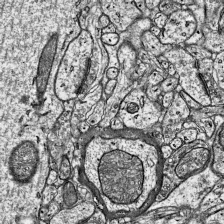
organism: Mouse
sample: Visual Cortex